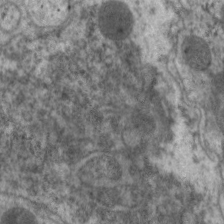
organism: C. elegans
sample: Pharynx